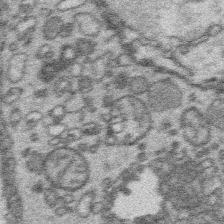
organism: Platynereis dumerilii